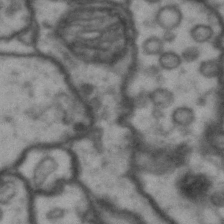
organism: Drosophila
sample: Brain